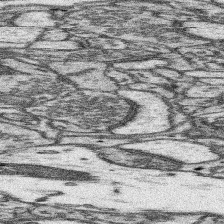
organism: Mouse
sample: Somatosensory cortex neuropil